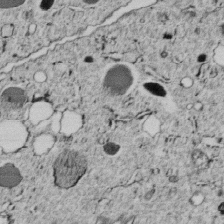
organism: C. elegans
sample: C. elegans embryo early stage